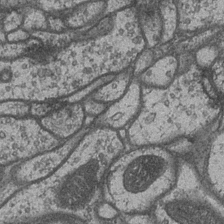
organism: Drosophila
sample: Optic medulla